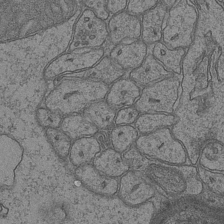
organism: Mouse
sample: CA1 Hippocampus